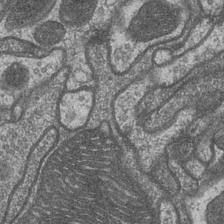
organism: Drosophila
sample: Optic medulla